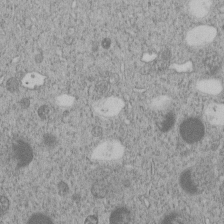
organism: C. elegans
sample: C. elegans embryo early stage